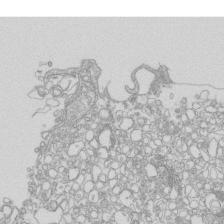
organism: Mouse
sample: Macrophages